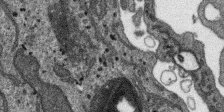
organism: Human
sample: Lung epithelial cells infected with SARS-CoV-2